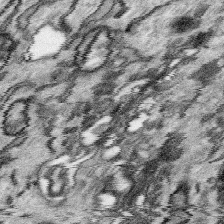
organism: Human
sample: HeLa cells